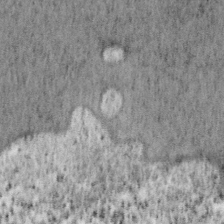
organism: Mouse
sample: OT-I killer T cells with ID8 ovarian cancer cells